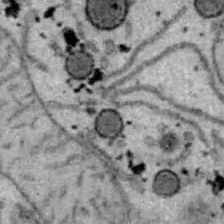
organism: Mouse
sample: Liver from an obese (ob/ob) mouse